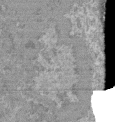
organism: Mouse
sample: Glomerulus